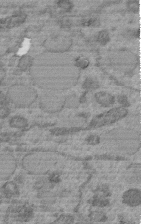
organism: C. elegans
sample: C. elegans embryo early stage